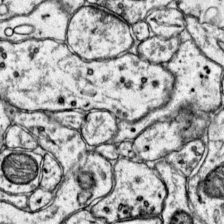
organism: Mouse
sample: Primary visual cortex